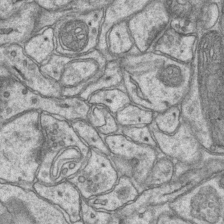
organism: Mouse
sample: CA1 Hippocampus